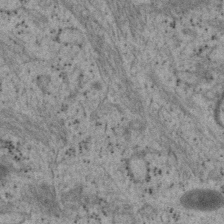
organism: Human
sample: HeLa cells